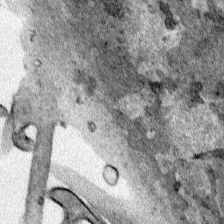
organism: Human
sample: Mitochondria in HCT116 cells